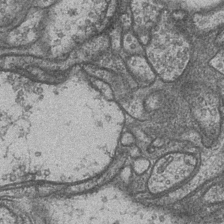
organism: Drosophila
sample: Optic medulla